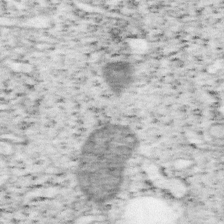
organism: Mouse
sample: OT-I killer T cells with ID8 ovarian cancer cells